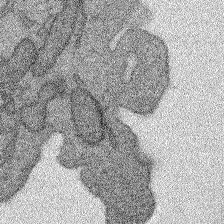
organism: Human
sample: HeLa cells